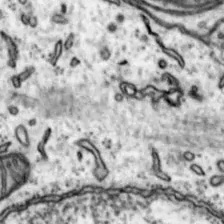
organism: Mouse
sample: Nucleus accumbens